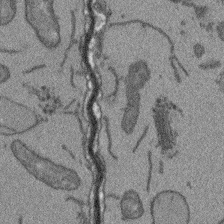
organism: Arabidopsis thaliana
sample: Root tip